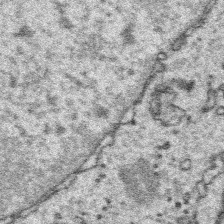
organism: Platynereis dumerilii